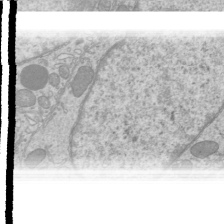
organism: Mouse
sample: Cilia; mouse epididymis